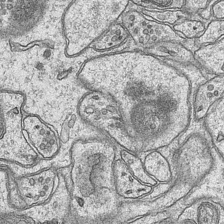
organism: Mouse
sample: CA1 Hippocampus